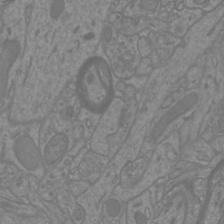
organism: Mouse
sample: Cortical neurons